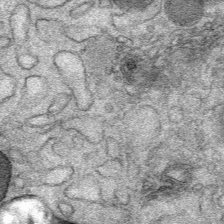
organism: Mouse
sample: Mouse Salivary gland